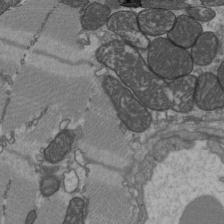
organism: C57BL Mouse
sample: Heart